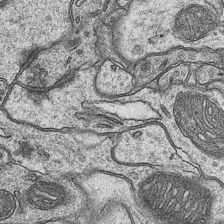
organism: Mouse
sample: CA1 Hippocampus